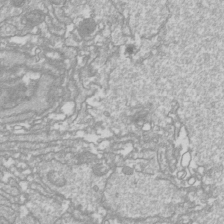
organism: Drosophila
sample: Cell division; meiosis; drosophila spermatocytes